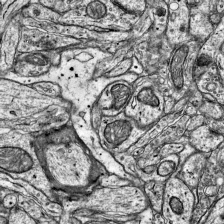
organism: Mouse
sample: Visual Cortex